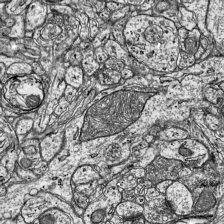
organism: Mouse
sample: Visual Cortex